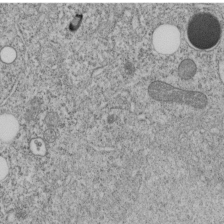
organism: C. elegans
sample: C. elegans embryo early stage